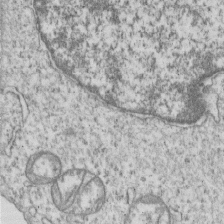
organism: Human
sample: MDA-MB-231 cells